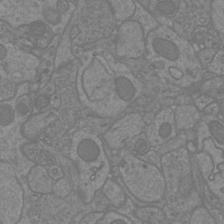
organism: Mouse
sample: Cortical neurons